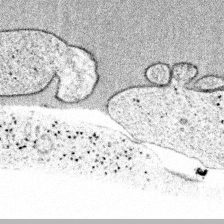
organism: Human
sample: HeLa cells